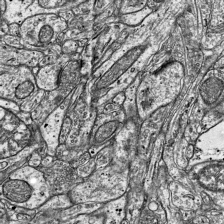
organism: Mouse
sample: Visual Cortex